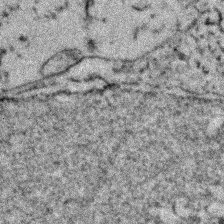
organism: Zebrafish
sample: Zebrafish embryo